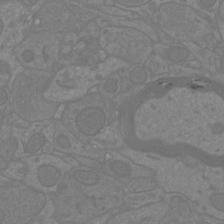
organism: Mouse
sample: Cortical neurons